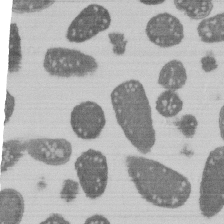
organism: E. coli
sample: Bacterial nucleoid